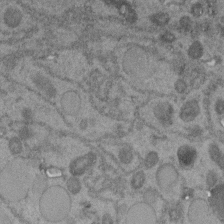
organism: C. elegans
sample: C. elegans embryo early stage